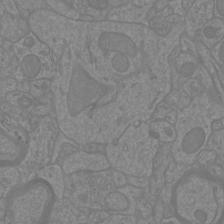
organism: Mouse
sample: Cortical neurons